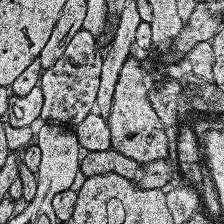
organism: Human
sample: Temporal Lobe